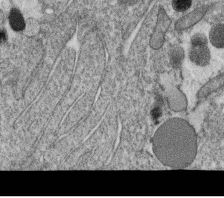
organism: C. elegans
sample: C. elegans oocyte; sperm cells